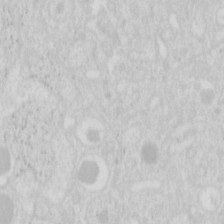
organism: Mouse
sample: Pancreas